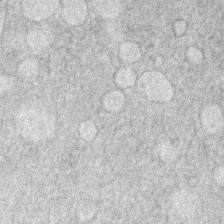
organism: Human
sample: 1205lu cells